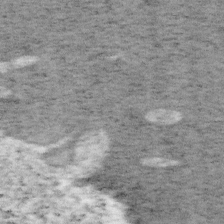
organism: Mouse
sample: OT-I killer T cells with ID8 ovarian cancer cells